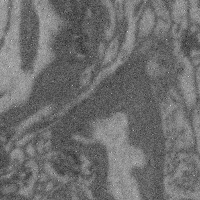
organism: Mouse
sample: Cerebral cortex